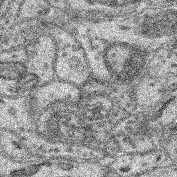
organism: Mouse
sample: Retina